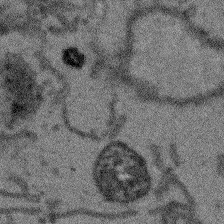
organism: Arabidopsis thaliana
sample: Root tip